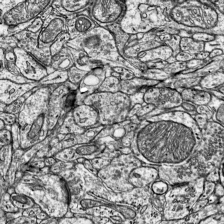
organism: Mouse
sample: Visual Cortex